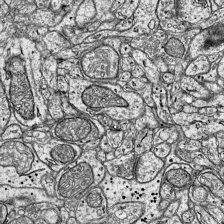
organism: Mouse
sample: Visual Cortex